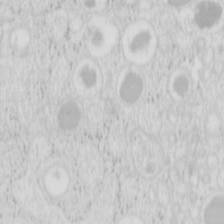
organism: Mouse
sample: Pancreas